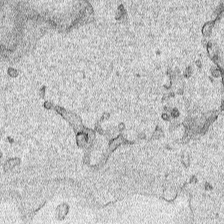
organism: Human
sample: Mitochondria in HCT116 cells